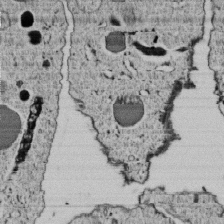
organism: C. elegans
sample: C. elegans embryo early stage